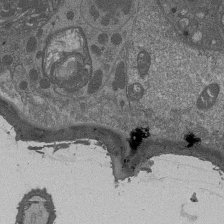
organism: Drosophila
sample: Antenna